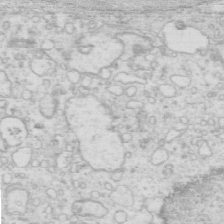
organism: Mouse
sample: Multiciliated cells